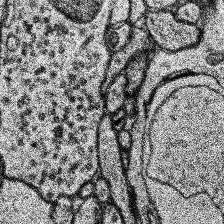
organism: Human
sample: Temporal Lobe